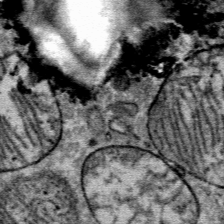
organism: Mouse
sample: Mouse Salivary gland